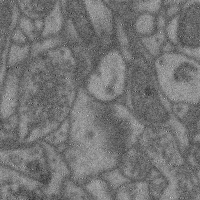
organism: Mouse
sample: Cerebral cortex